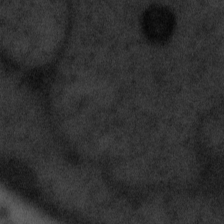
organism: Tuwongella immobilis